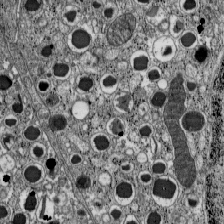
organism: C57BL Mouse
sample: Pancreatic islet